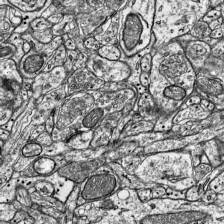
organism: Mouse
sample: Visual Cortex